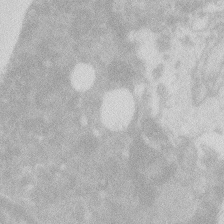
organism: Zebrafish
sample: Macrophage